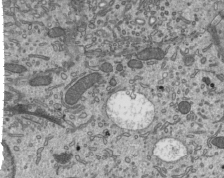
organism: Mouse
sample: Mouse epididymis efferent ductule cilia